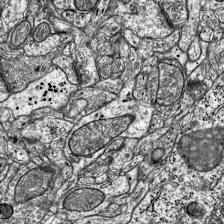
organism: Mouse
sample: Visual Cortex